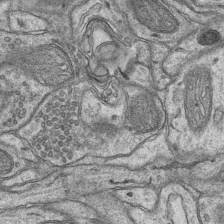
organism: Mouse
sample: CA1 Hippocampus